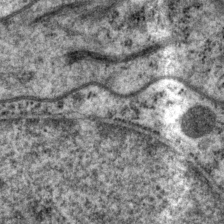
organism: P. pacificus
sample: Pharynx